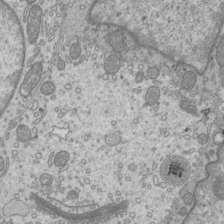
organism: Mouse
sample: Cilia; mouse epididymis